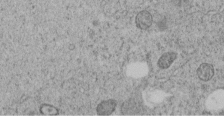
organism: C. elegans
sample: C. elegans embryo early stage